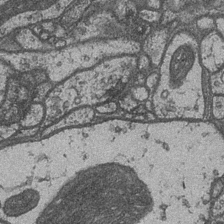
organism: Drosophila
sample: Optic medulla